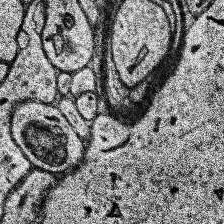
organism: Human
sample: Temporal Lobe